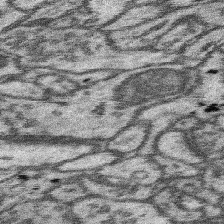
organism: Mouse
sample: Somatosensory cortex neuropil